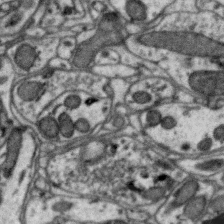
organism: Zebra finch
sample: Brain